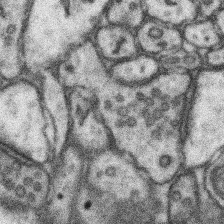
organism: Mouse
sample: Somatosensory cortex neuropil